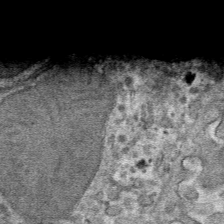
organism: Mouse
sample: Mouse hepatocytes